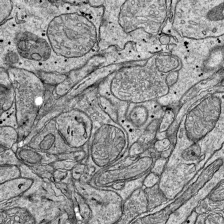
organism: Mouse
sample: Visual Cortex